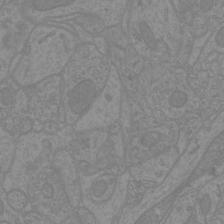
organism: Mouse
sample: Cortical neurons